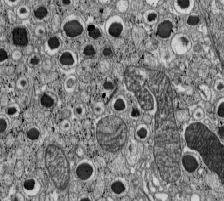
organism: C57BL Mouse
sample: Pancreatic islet